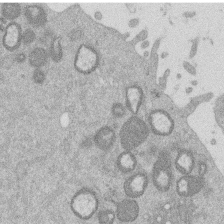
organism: Mouse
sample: Dividing mouse embryo 1 cell stage